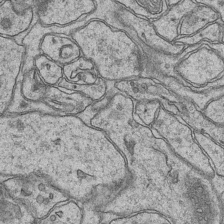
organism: Mouse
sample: CA1 Hippocampus